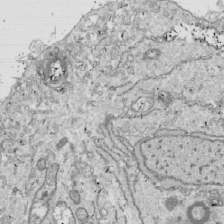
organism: Drosophila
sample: Cell division; meiosis; drosophila spermatocytes